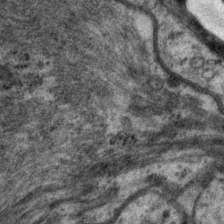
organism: P. pacificus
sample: Pharynx